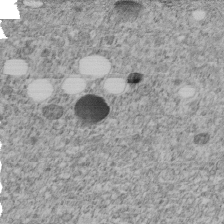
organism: C. elegans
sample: C. elegans embryo early stage